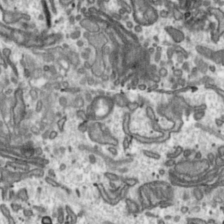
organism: Toxoplasma gondii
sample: Parasites in a vacuole inside a host cell